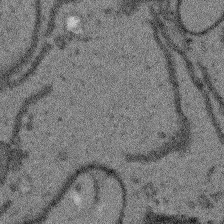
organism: Arabidopsis thaliana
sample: Root tip